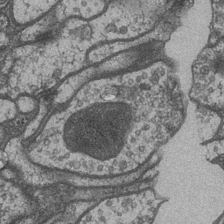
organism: Drosophila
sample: Optic medulla